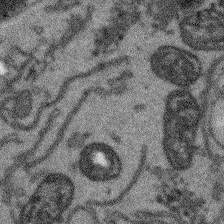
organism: Arabidopsis thaliana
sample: Root tip